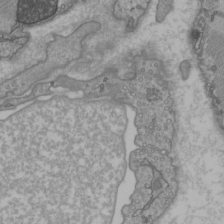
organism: C57BL Mouse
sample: Heart